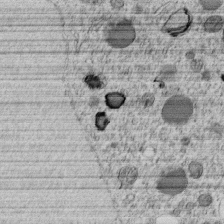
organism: C. elegans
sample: C. elegans embryo early stage